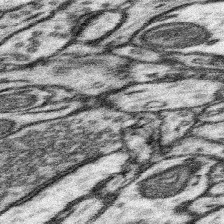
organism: Mouse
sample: Somatosensory cortex neuropil